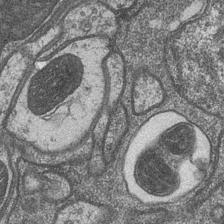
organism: Drosophila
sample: Optic medulla